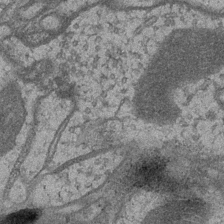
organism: Drosophila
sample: Optic medulla